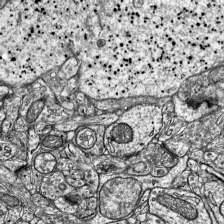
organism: Mouse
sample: Visual Cortex